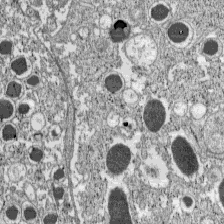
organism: C57BL Mouse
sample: Pancreatic islet